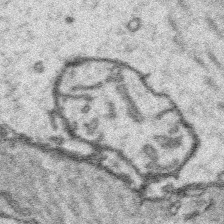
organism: Platynereis dumerilii